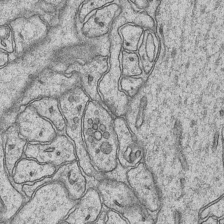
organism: Mouse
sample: CA1 Hippocampus